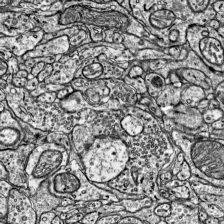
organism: Mouse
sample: Visual Cortex